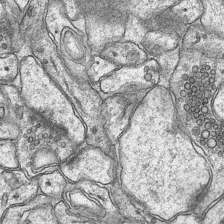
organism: Mouse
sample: CA1 Hippocampus